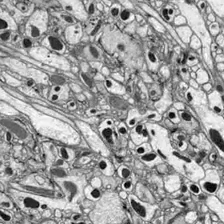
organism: Drosophila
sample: Optic lobe